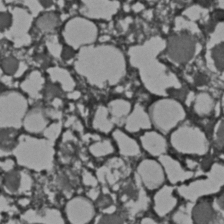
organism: C. elegans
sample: C. elegans embryo